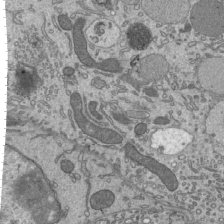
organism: Mouse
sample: Mouse epididymis efferent ductule cilia